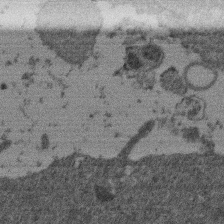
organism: Mouse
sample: Dividing mouse embryo 1 cell stage